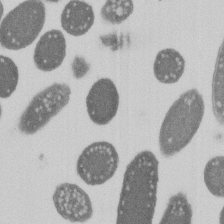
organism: E. coli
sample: Bacterial nucleoid